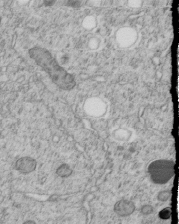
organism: C. elegans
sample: C. elegans embryo early stage